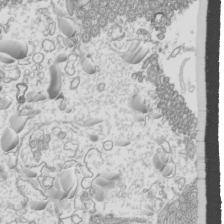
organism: Mouse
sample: Cilia; mouse epididymis